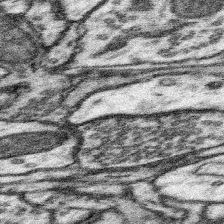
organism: Mouse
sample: Somatosensory cortex neuropil